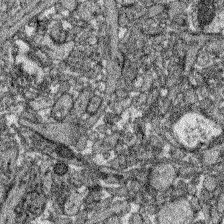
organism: Zebrafish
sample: Larval olfactory bulb